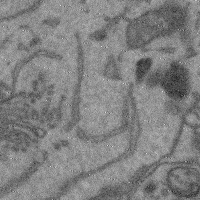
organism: Mouse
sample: Cerebral cortex